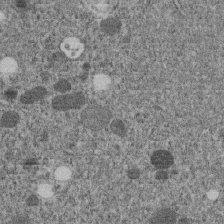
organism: C. elegans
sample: C. elegans embryo early stage